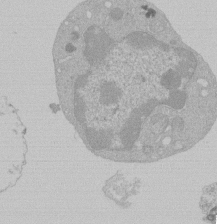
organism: Mouse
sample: Activated Pmel transgenic CD8+ T Cells